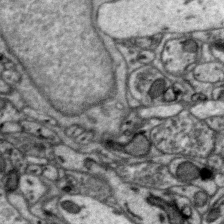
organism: Zebra finch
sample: Brain